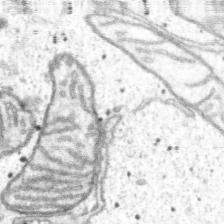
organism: Human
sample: HeLa cells